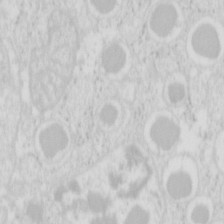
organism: Mouse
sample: Pancreas